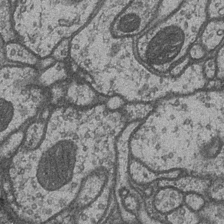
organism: Drosophila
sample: Optic medulla